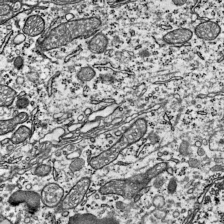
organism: Mouse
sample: Visual Cortex